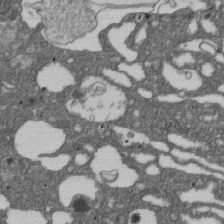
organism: Drosophila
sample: Nephrocyte